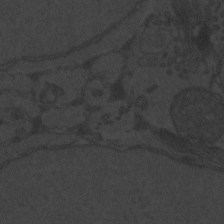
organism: Zebrafish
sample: Macrophage infected with Toxoplasma gondii